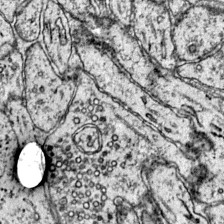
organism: Mouse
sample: Primary visual cortex